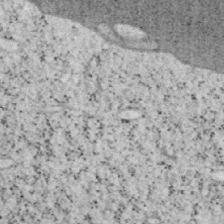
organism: Mouse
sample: OT-I killer T cells with ID8 ovarian cancer cells